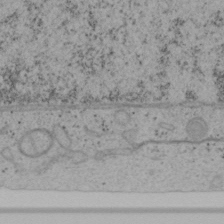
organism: Human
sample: HeLa cells